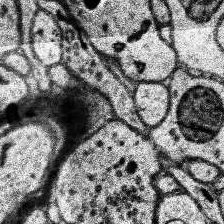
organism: Human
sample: Temporal Lobe